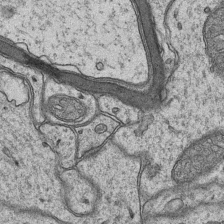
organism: Mouse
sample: CA1 Hippocampus